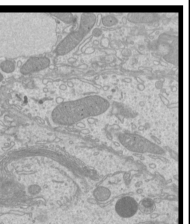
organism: Mouse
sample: Cilia; mouse epididymis